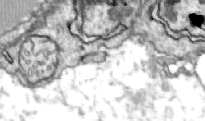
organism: Zebrafish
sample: Actinotrichia fibers